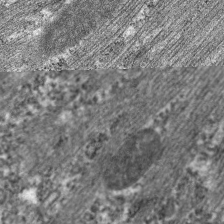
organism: C. elegans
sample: Pharynx